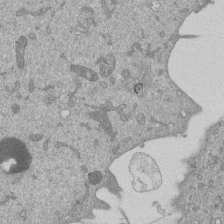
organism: Mouse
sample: ED-1 cell nuclei; centrioles